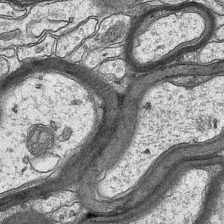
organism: Mouse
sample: CA1 Hippocampus